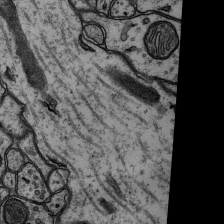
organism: Rat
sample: Hippocampus